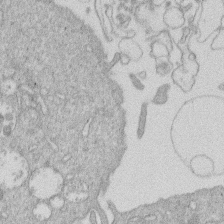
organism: Human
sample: Macrophage cells